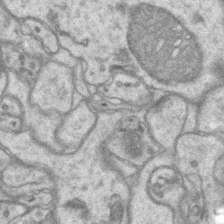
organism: Mouse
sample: CA1 Hippocampus